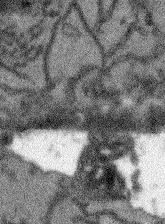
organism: Arabidopsis thaliana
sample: Root tip